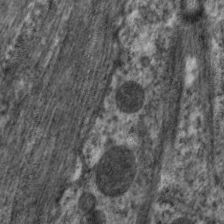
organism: C. elegans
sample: Pharynx